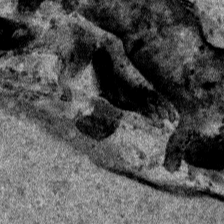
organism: Human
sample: Mitochondria in HCT116 cells